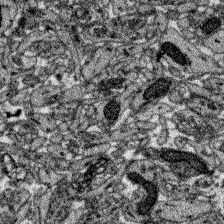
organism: Zebrafish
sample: Larval olfactory bulb